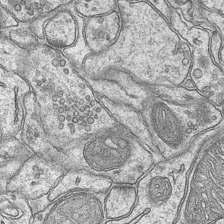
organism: Mouse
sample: CA1 Hippocampus